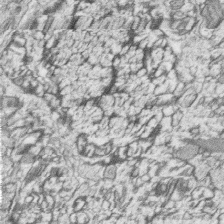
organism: Zebrafish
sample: synaptic ribbons in rod cells and cone cells